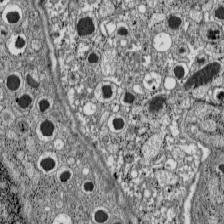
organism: C57BL Mouse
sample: Pancreatic islet